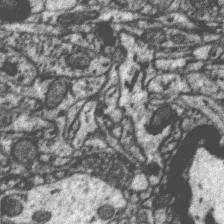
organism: Zebra finch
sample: Brain